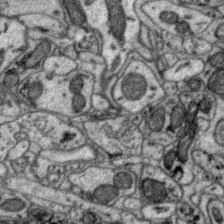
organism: Zebra finch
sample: Brain